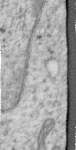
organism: Human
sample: Centriole in RPE cells